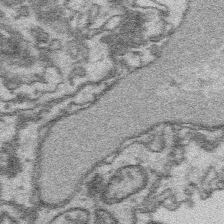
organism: Platynereis dumerilii